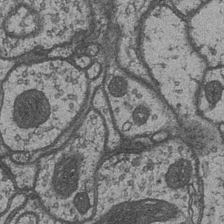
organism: Drosophila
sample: Optic medulla